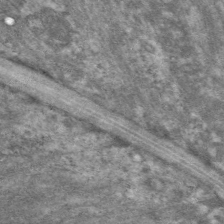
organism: C. elegans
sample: Pharynx